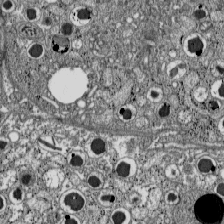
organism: C57BL Mouse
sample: Pancreatic islet